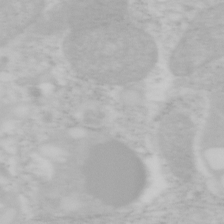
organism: Mouse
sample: OT-I killer T cells with ID8 ovarian cancer cells